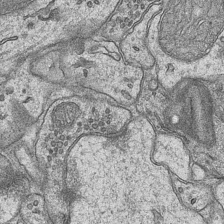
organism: Mouse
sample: CA1 Hippocampus